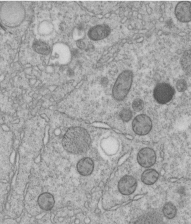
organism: C. elegans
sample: C. elegans embryo early stage